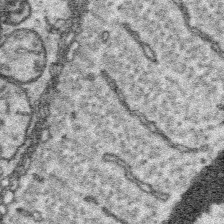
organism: Platynereis dumerilii